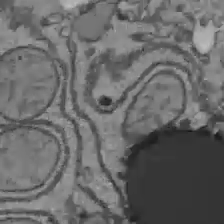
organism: C57BL Mouse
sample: Liver